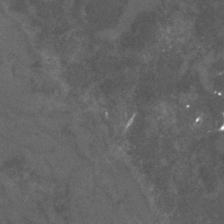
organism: C. elegans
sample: C. elegans embryo